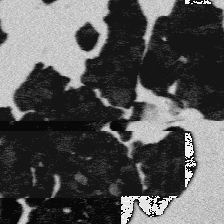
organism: Platynereis dumerilii